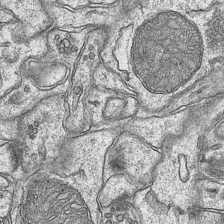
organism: Mouse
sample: CA1 Hippocampus